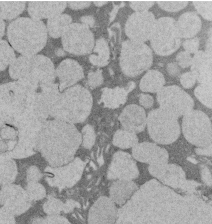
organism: Rat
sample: Salivary granule